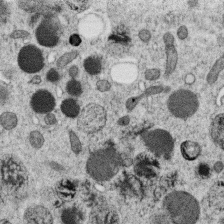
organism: C. elegans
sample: C. elegans oocyte; sperm cells